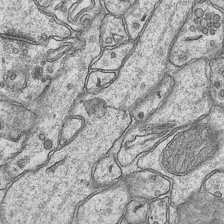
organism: Mouse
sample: CA1 Hippocampus